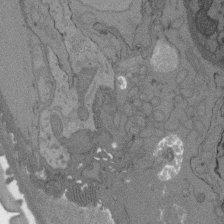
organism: C. elegans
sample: AFD neurons C. elegans